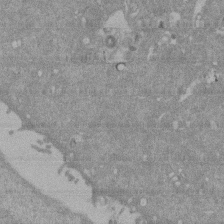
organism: Mouse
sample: ED-1 cell nuclei; centrioles